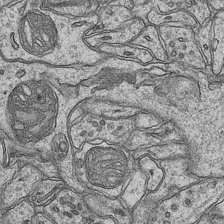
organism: Mouse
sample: CA1 Hippocampus